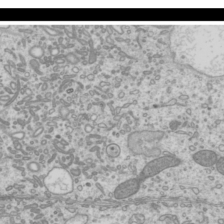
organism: Mouse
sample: Cilia; mouse epididymis